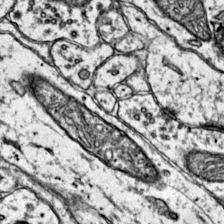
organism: Mouse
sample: Primary visual cortex